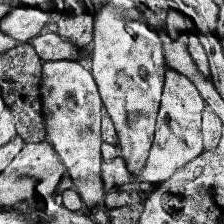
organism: Human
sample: Temporal Lobe